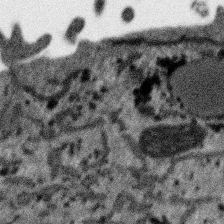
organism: Human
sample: Lung epithelial cells infected with SARS-CoV-2